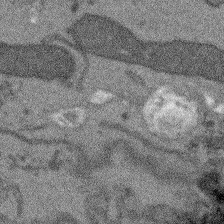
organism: Arabidopsis thaliana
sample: Root tip